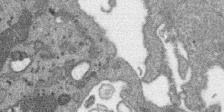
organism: Human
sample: Lung epithelial cells infected with SARS-CoV-2